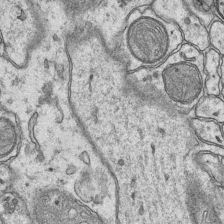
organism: Mouse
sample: CA1 Hippocampus